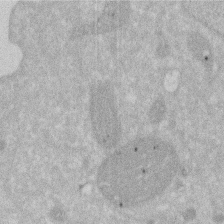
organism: Human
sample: HIV infected U937 cells